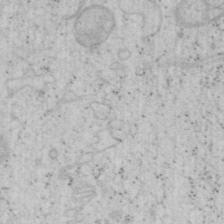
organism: Human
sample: HeLa cells